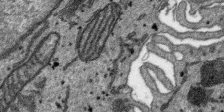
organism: Human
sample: Lung epithelial cells, uninfected (mock) control